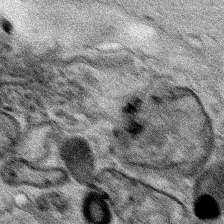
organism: Human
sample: Mitochondria in HCT116 cells